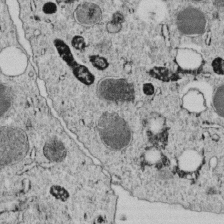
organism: C. elegans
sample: C. elegans embryo early stage